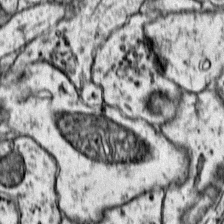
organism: Mouse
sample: Primary visual cortex